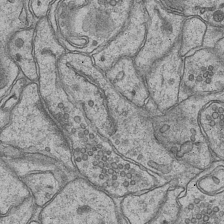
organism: Mouse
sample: CA1 Hippocampus